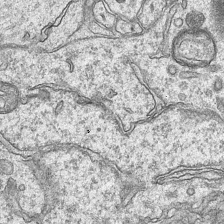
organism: Mouse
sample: CA1 Hippocampus